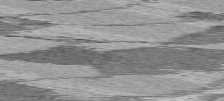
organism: C57BL Mouse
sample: Heart